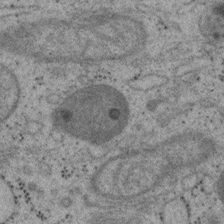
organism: Human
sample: HeLa cells